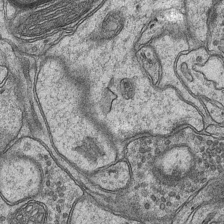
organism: Mouse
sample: CA1 Hippocampus